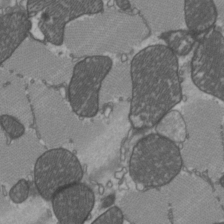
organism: C57BL Mouse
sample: Heart